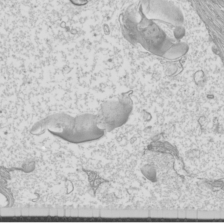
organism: Mouse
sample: Cilia; mouse epididymis